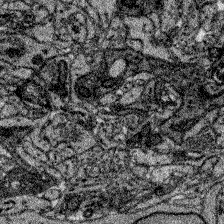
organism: Zebrafish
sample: Larval olfactory bulb